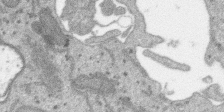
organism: Human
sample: Lung epithelial cells infected with SARS-CoV-2